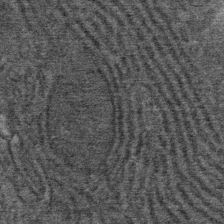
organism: Mouse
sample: Mouse Salivary gland